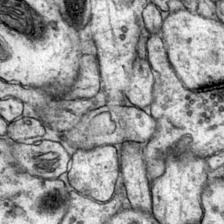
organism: Mouse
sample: Primary visual cortex